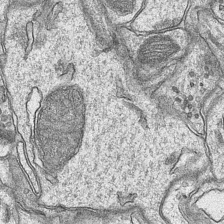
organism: Mouse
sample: CA1 Hippocampus